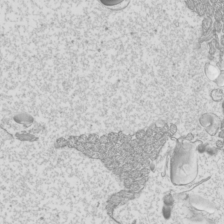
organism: Mouse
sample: Cilia; mouse epididymis